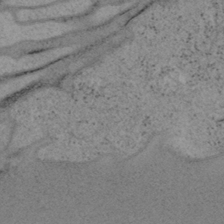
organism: Mouse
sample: OT-I killer T cells with ID8 ovarian cancer cells